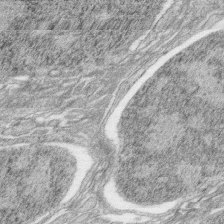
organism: Zebrafish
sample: synaptic ribbons in rod cells and cone cells